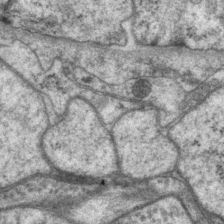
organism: P. pacificus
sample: Pharynx